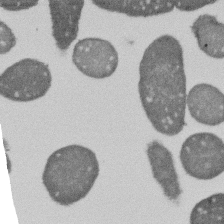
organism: E. coli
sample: Bacterial nucleoid